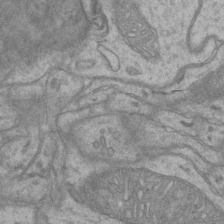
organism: Mouse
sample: CA1 Hippocampus